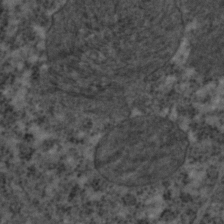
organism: C. elegans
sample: C. elegans embryo